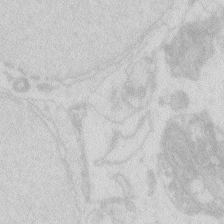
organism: Zebrafish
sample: Macrophage